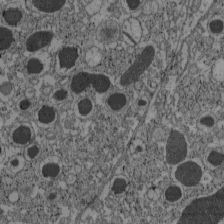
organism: C57BL Mouse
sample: Pancreatic islet